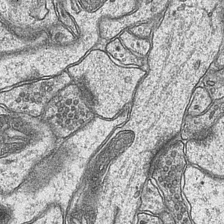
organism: Mouse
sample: CA1 Hippocampus